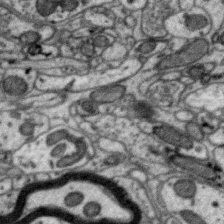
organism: Zebra finch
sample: Brain